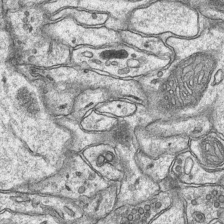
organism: Mouse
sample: CA1 Hippocampus